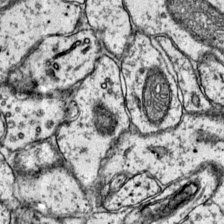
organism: Mouse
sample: Primary visual cortex